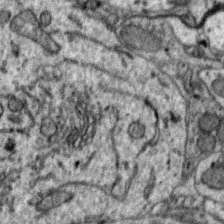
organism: Zebra finch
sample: Brain